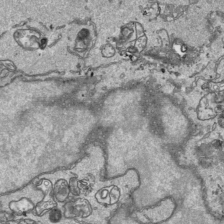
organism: Human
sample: Mitochondria in HCT116 cells